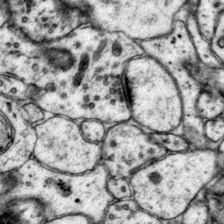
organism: Mouse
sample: Primary visual cortex